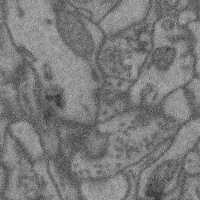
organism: Mouse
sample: Cerebral cortex